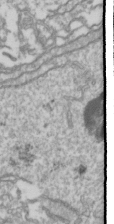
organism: Drosophila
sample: Cell division; meiosis; drosophila spermatocytes